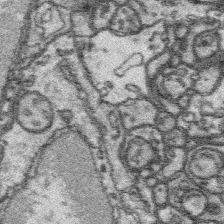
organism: Platynereis dumerilii